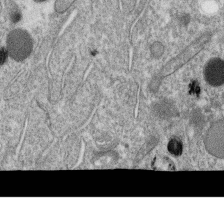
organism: C. elegans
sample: C. elegans oocyte; sperm cells